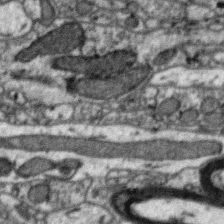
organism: Zebra finch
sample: Brain